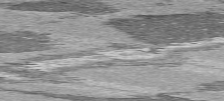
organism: C57BL Mouse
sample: Heart